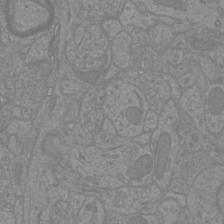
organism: Mouse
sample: Cortical neurons